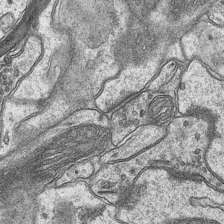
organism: Mouse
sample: CA1 Hippocampus